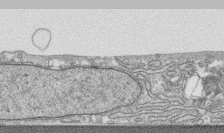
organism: Human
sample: CRL-1474